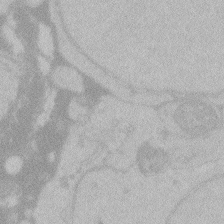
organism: Zebrafish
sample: Macrophage infected with Toxoplasma gondii